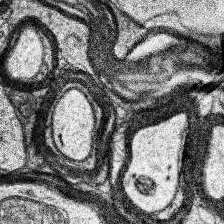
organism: Human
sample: Temporal Lobe